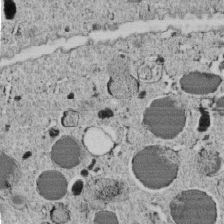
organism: C. elegans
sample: C. elegans embryo early stage